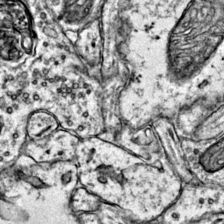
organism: Mouse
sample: Primary visual cortex